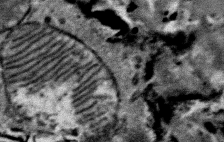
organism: Mouse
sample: Mouse Salivary gland